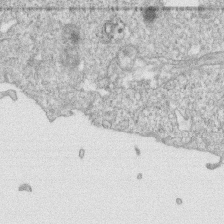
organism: Human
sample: HeLa cell HIV synapse